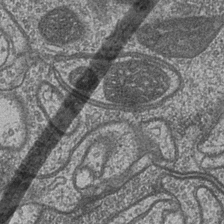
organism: Drosophila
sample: Optic medulla